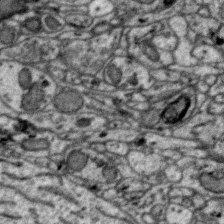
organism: Zebra finch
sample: Brain